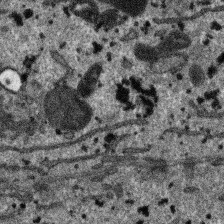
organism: Human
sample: Lung epithelial cells infected with SARS-CoV-2